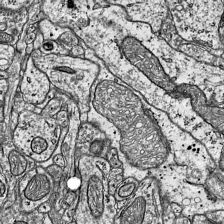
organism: Mouse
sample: Visual Cortex